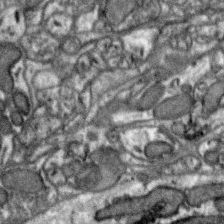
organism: Zebra finch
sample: Brain